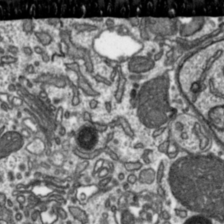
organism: Toxoplasma gondii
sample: Parasites in a vacuole inside a host cell